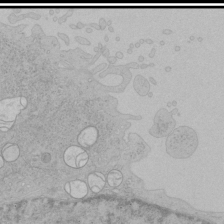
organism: Human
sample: Mitochondria in HCT116 cells